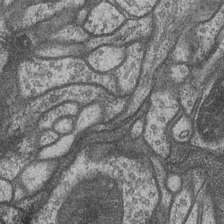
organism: Drosophila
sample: Optic medulla